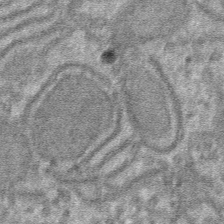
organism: Mouse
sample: Mouse hepatocytes